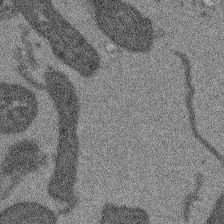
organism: Arabidopsis thaliana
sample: Root tip